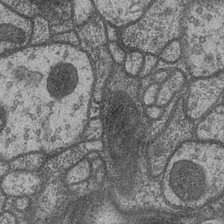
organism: Drosophila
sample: Optic medulla